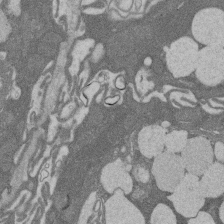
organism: Rat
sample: Salivary granule